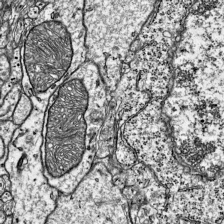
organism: Mouse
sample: Visual Cortex